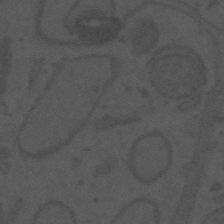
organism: Mouse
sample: Suprachiasmatic nucleus